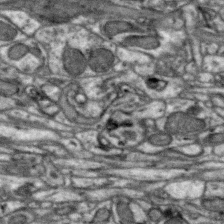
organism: Zebra finch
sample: Brain